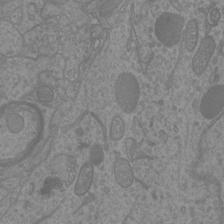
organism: Mouse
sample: Cortical neurons